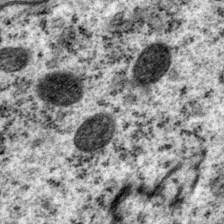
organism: P. pacificus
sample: Pharynx